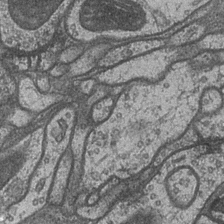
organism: Drosophila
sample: Optic medulla